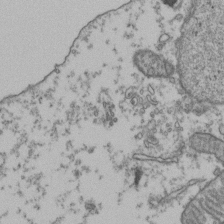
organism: Human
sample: Activated Jurkat CD4+ T cells